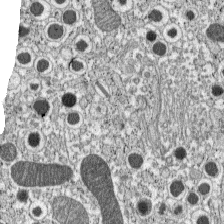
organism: C57BL Mouse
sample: Pancreatic islet